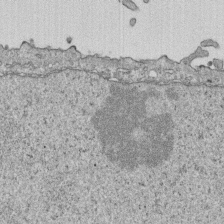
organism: Human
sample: HeLa cell HIV synapse